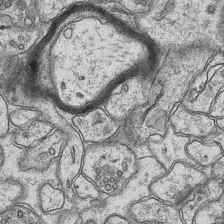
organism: Mouse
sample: CA1 Hippocampus